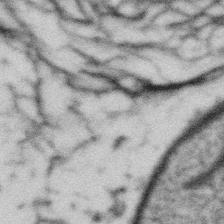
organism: Gemmata obscuriglobus